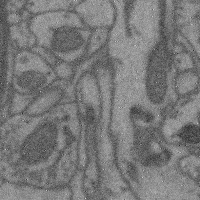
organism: Mouse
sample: Cerebral cortex